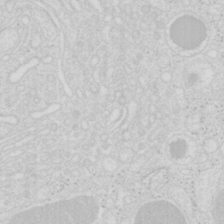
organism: Mouse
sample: Pancreas